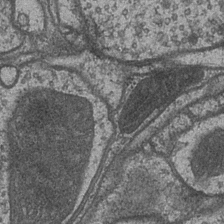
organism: Drosophila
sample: Optic medulla